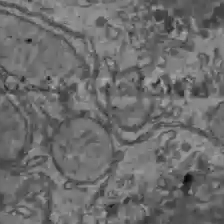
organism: C57BL Mouse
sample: Liver